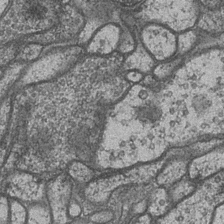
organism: Drosophila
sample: Optic medulla